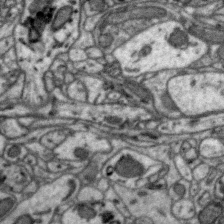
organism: Zebra finch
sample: Brain